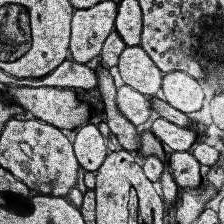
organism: Human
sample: Temporal Lobe